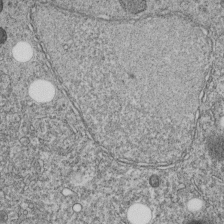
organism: C. elegans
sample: C. elegans embryo early stage